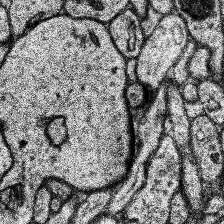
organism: Human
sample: Temporal Lobe